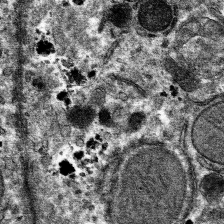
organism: Mouse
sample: Mouse hepatocytes